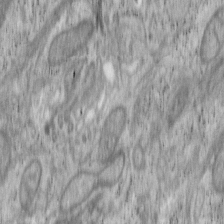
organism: Human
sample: HeLa cells